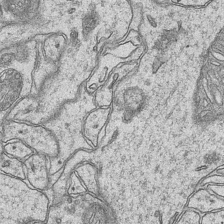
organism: Mouse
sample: CA1 Hippocampus